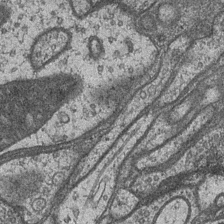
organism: Drosophila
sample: Optic medulla